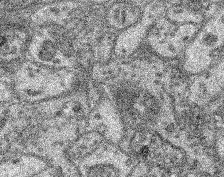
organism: Mouse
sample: Retina